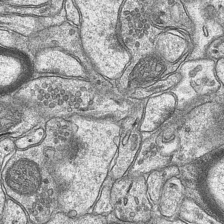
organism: Mouse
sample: CA1 Hippocampus